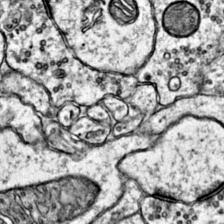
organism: Mouse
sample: Primary visual cortex